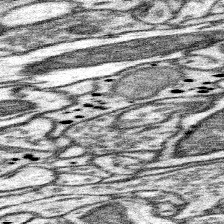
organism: Mouse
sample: Somatosensory cortex neuropil